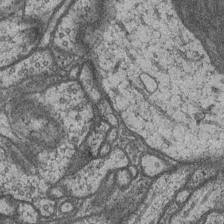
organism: Drosophila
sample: Optic medulla